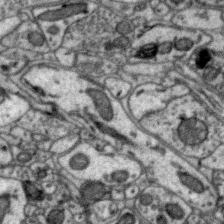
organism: Zebra finch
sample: Brain